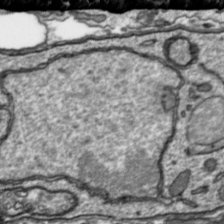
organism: Toxoplasma gondii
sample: Parasites in a vacuole inside a host cell